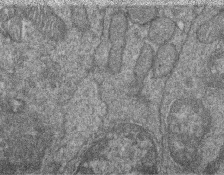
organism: Zebrafish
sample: Cilia; retinal pigment epithelium